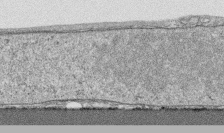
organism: Human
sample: CRL-1474